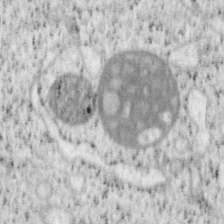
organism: Mouse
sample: OT-I killer T cells with ID8 ovarian cancer cells